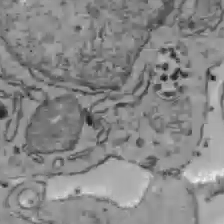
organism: C57BL Mouse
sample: Liver